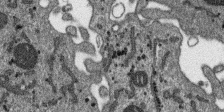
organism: Human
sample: Lung epithelial cells infected with SARS-CoV-2